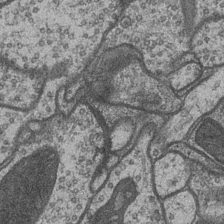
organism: Drosophila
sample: Optic medulla